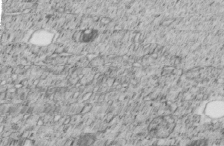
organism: C. elegans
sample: C. elegans embryo early stage